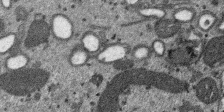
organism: Human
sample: Lung epithelial cells infected with SARS-CoV-2